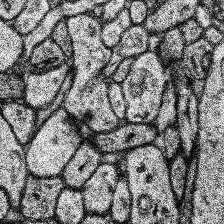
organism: Human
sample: Temporal Lobe